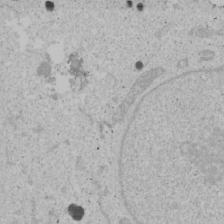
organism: Human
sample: Mitochondria in U2OS cells